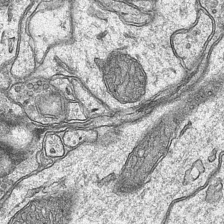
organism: Mouse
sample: CA1 Hippocampus